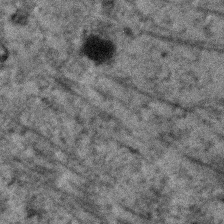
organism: Human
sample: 1205lu cells